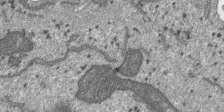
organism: Human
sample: Lung epithelial cells infected with SARS-CoV-2